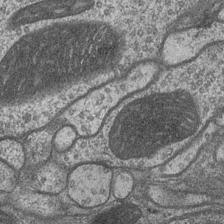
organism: Drosophila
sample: Optic medulla